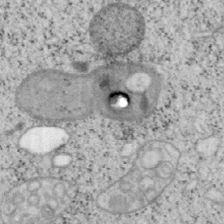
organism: Mouse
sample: OT-I killer T cells with ID8 ovarian cancer cells